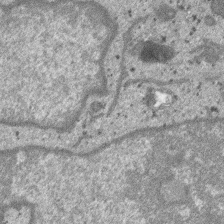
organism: Human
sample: Lung epithelial cells infected with SARS-CoV-2